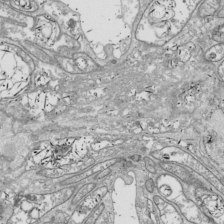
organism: Drosophila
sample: Cell division; meiosis; drosophila spermatocytes